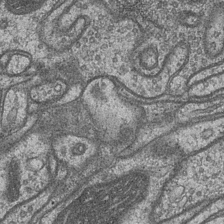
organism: Drosophila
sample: Optic medulla